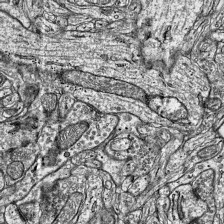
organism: Mouse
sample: Visual Cortex